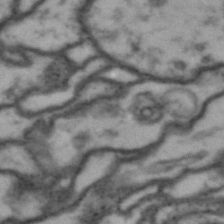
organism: Drosophila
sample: Brain